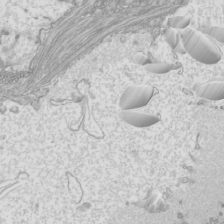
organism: Mouse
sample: Cilia; mouse epididymis